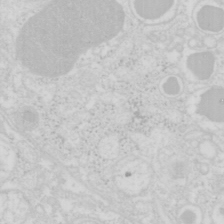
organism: Mouse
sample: Pancreas